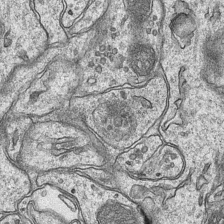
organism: Mouse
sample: CA1 Hippocampus